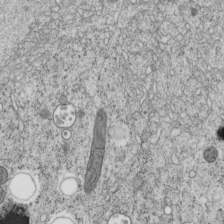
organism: C. elegans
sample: C. elegans embryo early stage